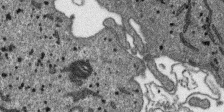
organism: Human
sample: Lung epithelial cells infected with SARS-CoV-2